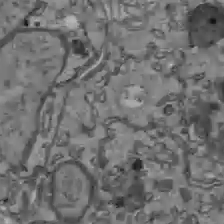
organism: C57BL Mouse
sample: Liver